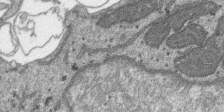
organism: Human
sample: Lung epithelial cells infected with SARS-CoV-2